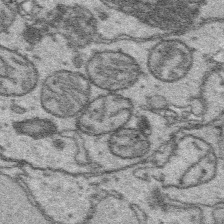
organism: Platynereis dumerilii